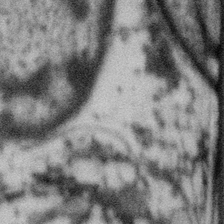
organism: Gemmata obscuriglobus